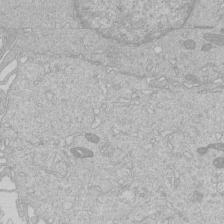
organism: Human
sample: Macrophage cells